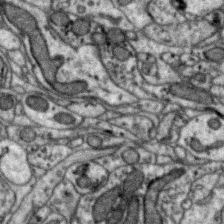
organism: Zebra finch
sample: Brain